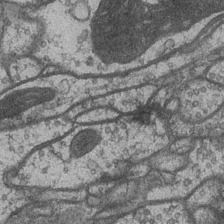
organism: Drosophila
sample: Optic medulla